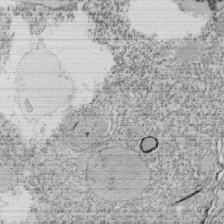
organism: Tetrahymena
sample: Cilia in tetrahymena